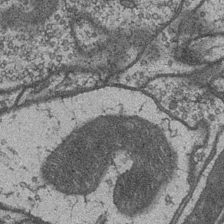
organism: Drosophila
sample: Optic medulla